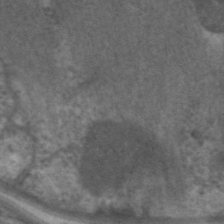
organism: C. elegans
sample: Pharynx